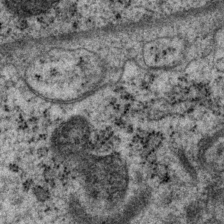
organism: P. pacificus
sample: Pharynx